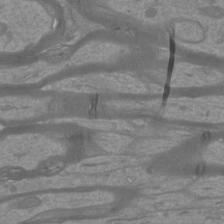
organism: Mouse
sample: Cortical neurons